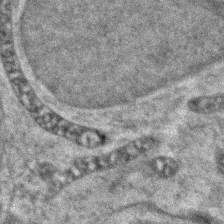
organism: Zebrafish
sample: Zebrafish embryo